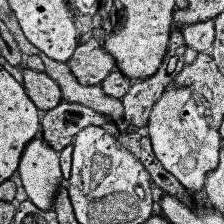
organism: Human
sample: Temporal Lobe